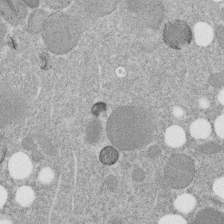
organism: C. elegans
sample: C. elegans embryo early stage